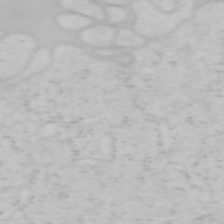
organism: Mouse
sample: OT-I killer T cells with ID8 ovarian cancer cells